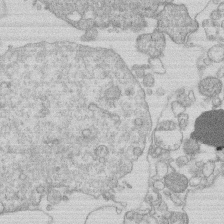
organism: Human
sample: Macrophage cells